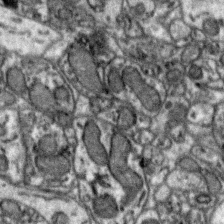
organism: Zebra finch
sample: Brain